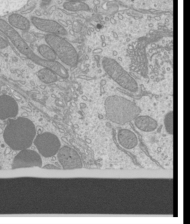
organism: Mouse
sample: Cilia; mouse epididymis